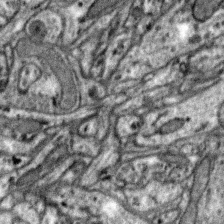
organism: Zebra finch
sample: Brain